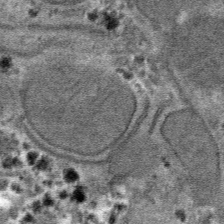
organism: Mouse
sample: Mouse hepatocytes